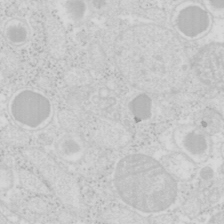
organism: Mouse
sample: Pancreas